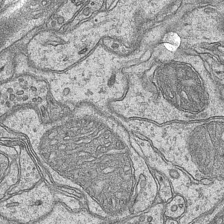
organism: Mouse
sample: CA1 Hippocampus